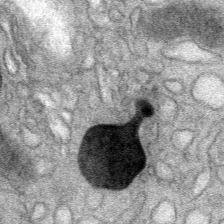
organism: Mouse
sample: Mouse Salivary gland